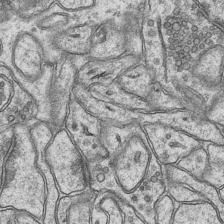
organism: Mouse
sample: CA1 Hippocampus